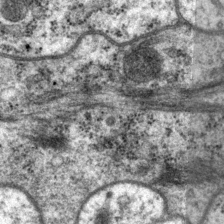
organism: P. pacificus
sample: Pharynx